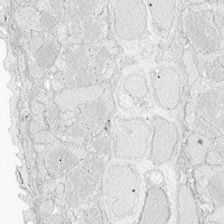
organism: Zebrafish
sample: Whole-Brain